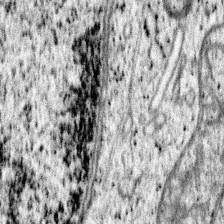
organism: Human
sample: HeLa cells